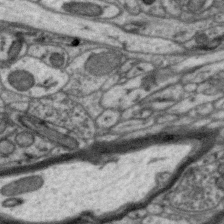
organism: Zebra finch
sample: Brain